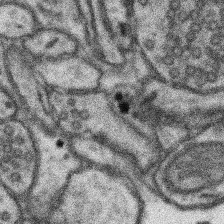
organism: Mouse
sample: Somatosensory cortex neuropil